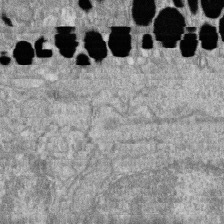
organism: Zebrafish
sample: Cilia; retinal pigment epithelium